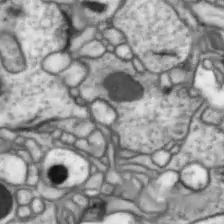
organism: Drosophila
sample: Optic lobe